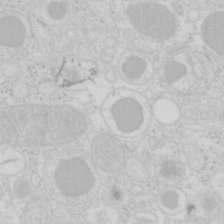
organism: Mouse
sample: Pancreas